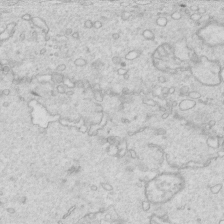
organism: Mouse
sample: Multiciliated cells